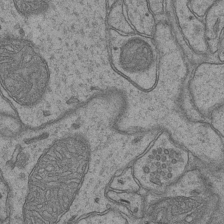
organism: Mouse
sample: CA1 Hippocampus